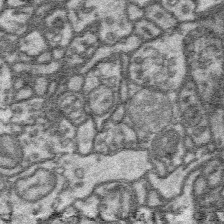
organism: Platynereis dumerilii